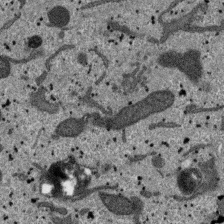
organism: Human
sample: Lung epithelial cells, uninfected (mock) control